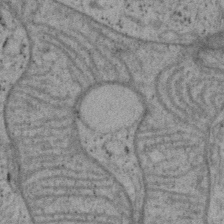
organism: Human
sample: HeLa cells